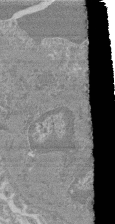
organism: Mouse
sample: Glomerulus